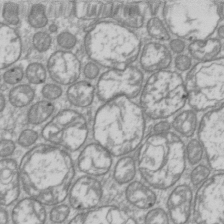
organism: Drosophila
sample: Cell division; meiosis; drosophila spermatocytes